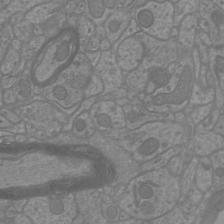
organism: Mouse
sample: Cortical neurons